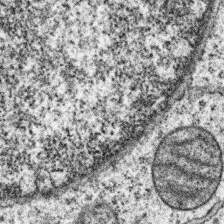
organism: Human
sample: HeLa cells